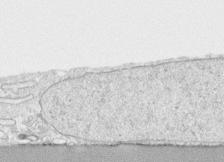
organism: Human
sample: CRL-1474